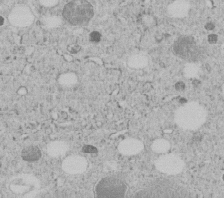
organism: C. elegans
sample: C. elegans embryo early stage